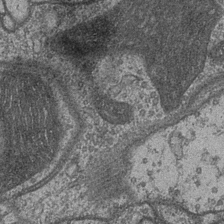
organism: Drosophila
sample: Optic medulla